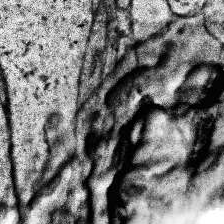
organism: Human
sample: Temporal Lobe